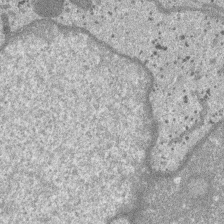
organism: Human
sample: Lung epithelial cells infected with SARS-CoV-2